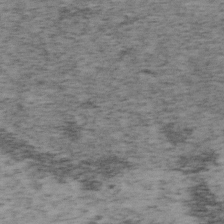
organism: Mouse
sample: OT-I killer T cells with ID8 ovarian cancer cells